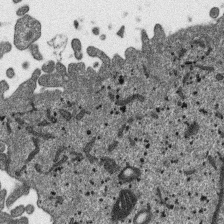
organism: Human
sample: Lung epithelial cells infected with SARS-CoV-2